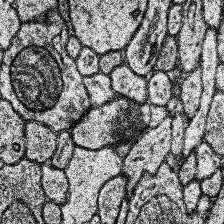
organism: Human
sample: Temporal Lobe